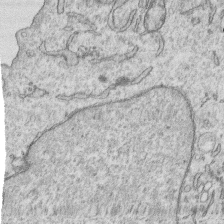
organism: Human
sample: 1205lu cells